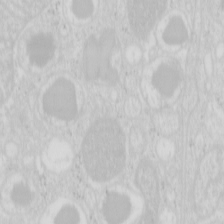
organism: Mouse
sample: Pancreas